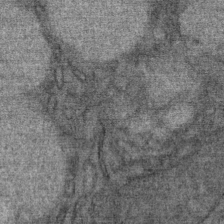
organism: Mouse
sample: Mouse Salivary gland